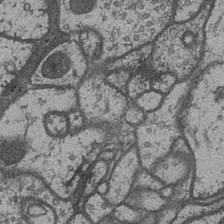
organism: Drosophila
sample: Optic medulla